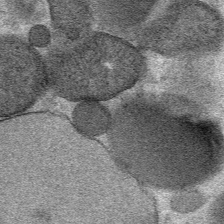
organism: Mouse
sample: Mouse Salivary gland